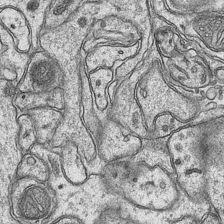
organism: Mouse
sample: CA1 Hippocampus